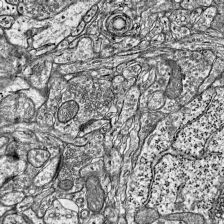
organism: Mouse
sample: Visual Cortex